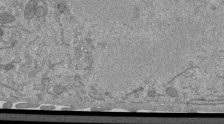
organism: Mouse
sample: ED-1 cell nuclei; centrioles